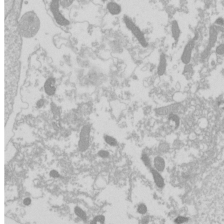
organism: Drosophila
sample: Cell division; meiosis; drosophila spermatocytes